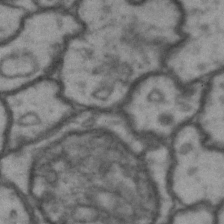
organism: Drosophila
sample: Brain